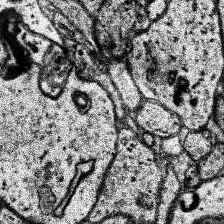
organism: Human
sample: Temporal Lobe